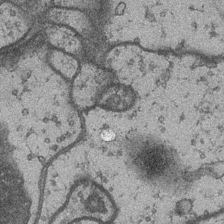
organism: Drosophila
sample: Optic medulla